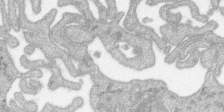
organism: Human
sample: Lung epithelial cells infected with SARS-CoV-2